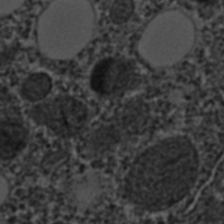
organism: C. elegans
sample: C. elegans embryo